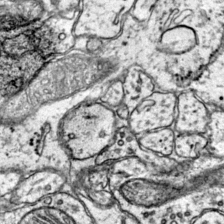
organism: Mouse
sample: Primary visual cortex